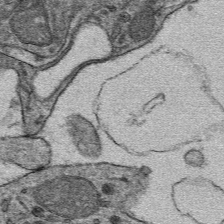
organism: Mouse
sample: Mouse hepatocytes